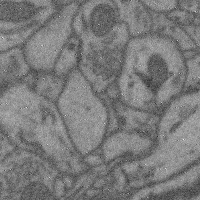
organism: Mouse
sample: Cerebral cortex